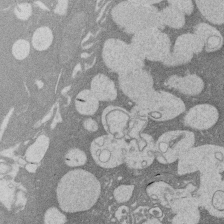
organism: Rat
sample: Salivary granule